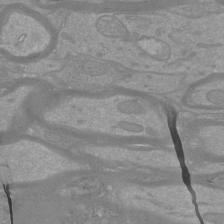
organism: Mouse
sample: Cortical neurons